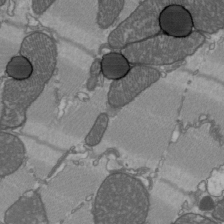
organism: C57BL Mouse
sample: Heart